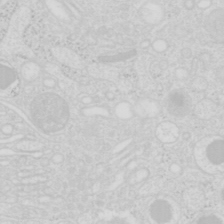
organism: Mouse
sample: Pancreas